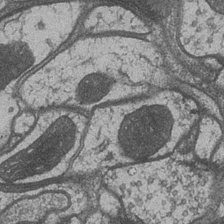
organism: Drosophila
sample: Optic medulla